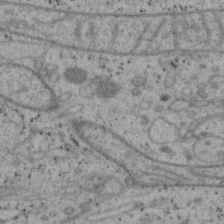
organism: Human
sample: HeLa cells